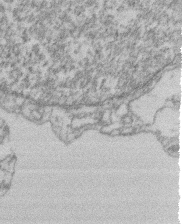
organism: Mouse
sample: T cell stromal cell synapse